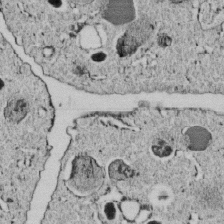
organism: C. elegans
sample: C. elegans embryo early stage